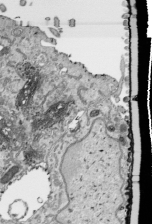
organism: Human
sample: Mitochondria in HCT116 cells